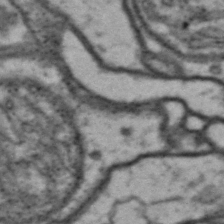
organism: Drosophila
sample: Brain